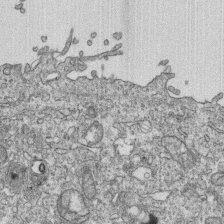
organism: Human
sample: HeLa cell HIV synapse